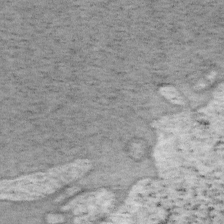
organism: Mouse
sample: OT-I killer T cells with ID8 ovarian cancer cells